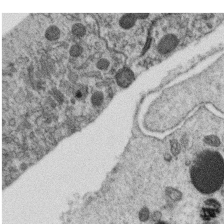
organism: C. elegans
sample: C. elegans oocyte; sperm cells